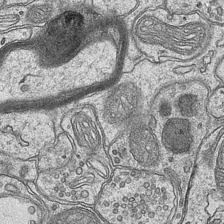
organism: Mouse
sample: CA1 Hippocampus